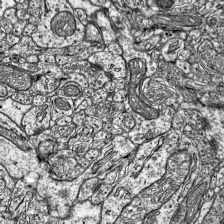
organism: Mouse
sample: Visual Cortex